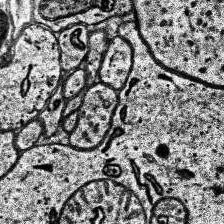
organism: Human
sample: Temporal Lobe